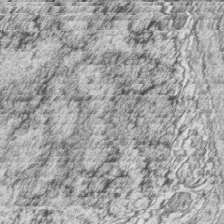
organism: Zebrafish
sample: synaptic ribbons in rod cells and cone cells